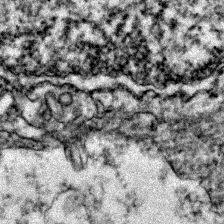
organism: Zebrafish